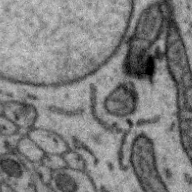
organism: Zebra finch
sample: Brain